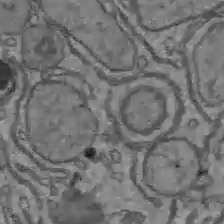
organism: C57BL Mouse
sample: Liver